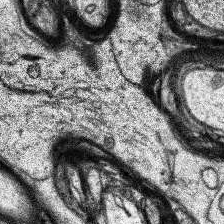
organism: Human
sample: Temporal Lobe